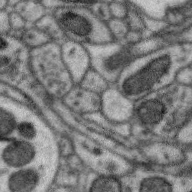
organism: Zebra finch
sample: Brain